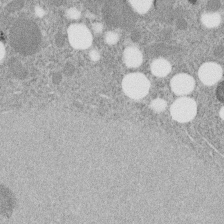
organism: C. elegans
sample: C. elegans embryo early stage